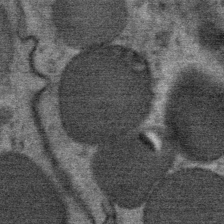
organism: Mouse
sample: Mouse Salivary gland